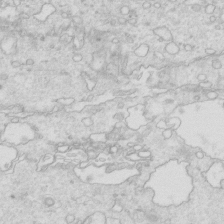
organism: Mouse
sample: Multiciliated cells